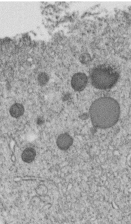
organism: C. elegans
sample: C. elegans embryo early stage